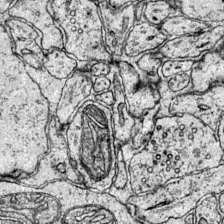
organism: Mouse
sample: Primary visual cortex